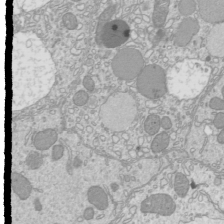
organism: Mouse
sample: Cilia; mouse epididymis